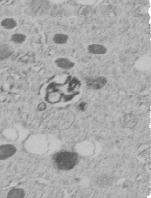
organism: C. elegans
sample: C. elegans embryo early stage